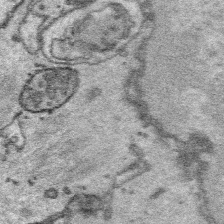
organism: Platynereis dumerilii